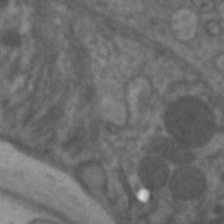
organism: C. elegans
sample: Pharynx